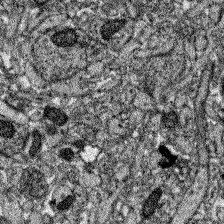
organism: Zebrafish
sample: Larval olfactory bulb